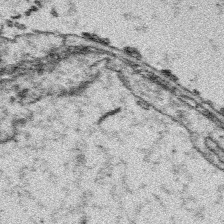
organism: Platynereis dumerilii